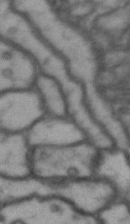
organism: Drosophila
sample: Brain